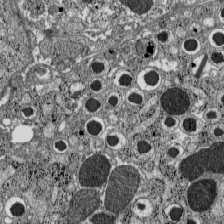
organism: C57BL Mouse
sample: Pancreatic islet